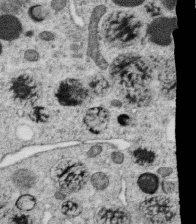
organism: C. elegans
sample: C. elegans oocyte; sperm cells